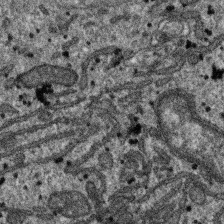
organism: Human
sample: Lung epithelial cells infected with SARS-CoV-2